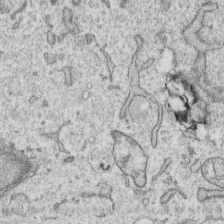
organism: Human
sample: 1205lu cells